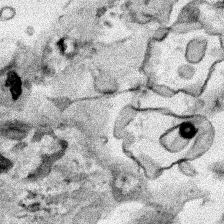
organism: Human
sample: Mitochondria in HCT116 cells